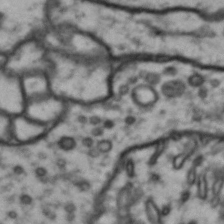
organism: Drosophila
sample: Brain